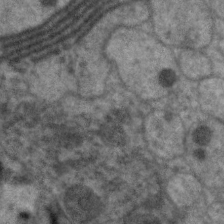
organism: C. elegans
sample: Pharynx